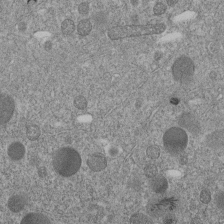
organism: C. elegans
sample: C. elegans embryo early stage